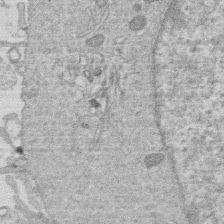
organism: Human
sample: Macrophage cells